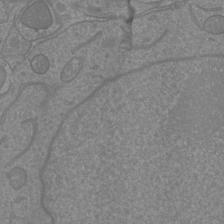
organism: Mouse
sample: Cortical neurons